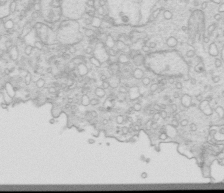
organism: Mouse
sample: Multiciliated cells